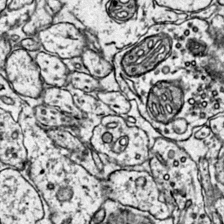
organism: Mouse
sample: Primary visual cortex